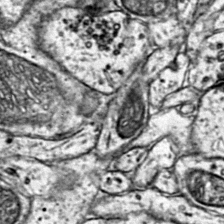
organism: Mouse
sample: Primary visual cortex